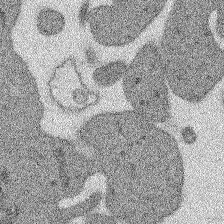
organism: Human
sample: HeLa cells